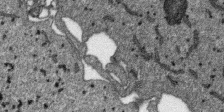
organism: Human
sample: Lung epithelial cells infected with SARS-CoV-2